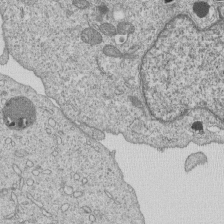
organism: Human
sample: MDA-MB-231 cells